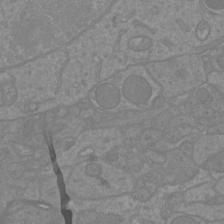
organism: Mouse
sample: Cortical neurons